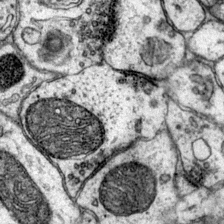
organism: Mouse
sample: Primary visual cortex